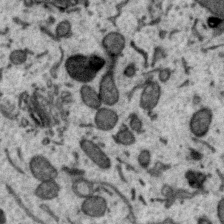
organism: Zebra finch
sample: Brain